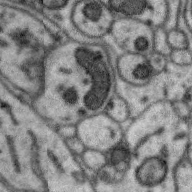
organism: Zebra finch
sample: Brain